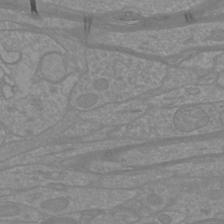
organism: Mouse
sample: Cortical neurons